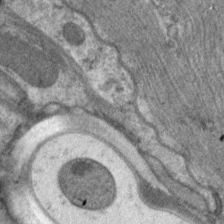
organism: C. elegans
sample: Pharynx